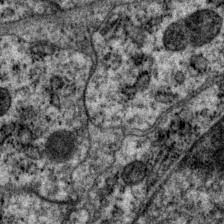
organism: P. pacificus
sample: Pharynx